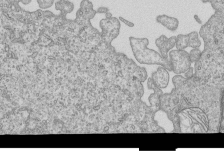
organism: Human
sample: MDA-MB-231 cells